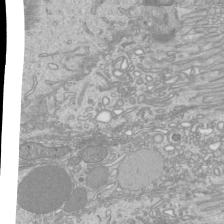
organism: Mouse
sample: Cilia; mouse epididymis